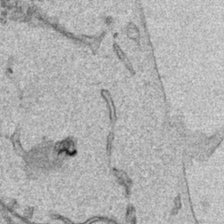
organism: Human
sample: Mitochondria in HCT116 cells